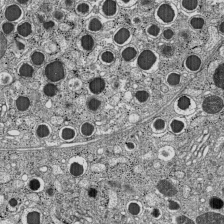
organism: C57BL Mouse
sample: Pancreatic islet